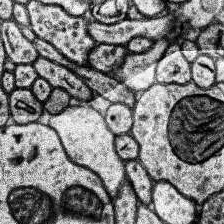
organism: Human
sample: Temporal Lobe